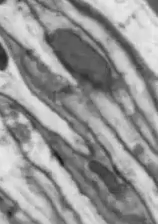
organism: Drosophila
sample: Optic lobe